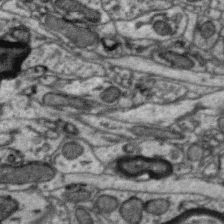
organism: Zebra finch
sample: Brain